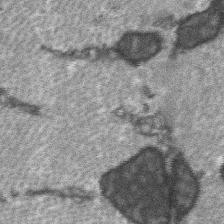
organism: C57BL Mouse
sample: Soleus